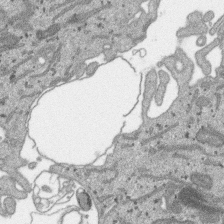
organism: Human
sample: Lung epithelial cells infected with SARS-CoV-2